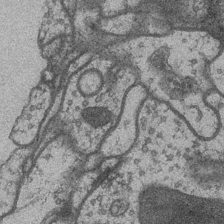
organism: Drosophila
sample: Optic medulla